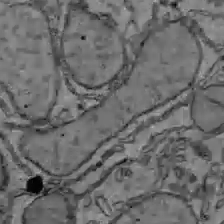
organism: C57BL Mouse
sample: Liver